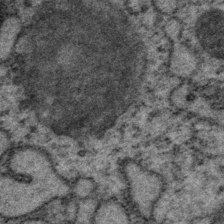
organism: P. pacificus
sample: Pharynx